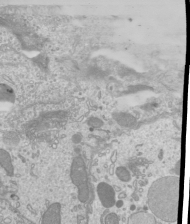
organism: Mouse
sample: Cilia; mouse epididymis